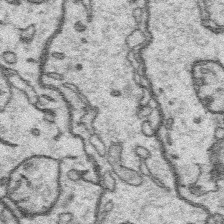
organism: Platynereis dumerilii